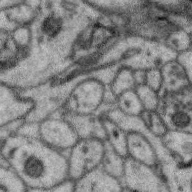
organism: Zebra finch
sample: Brain